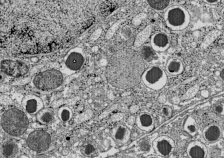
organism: C57BL Mouse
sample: Pancreatic islet